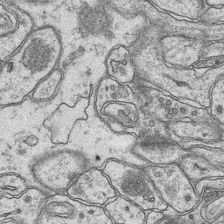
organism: Mouse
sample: CA1 Hippocampus